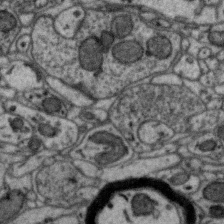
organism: Zebra finch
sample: Brain